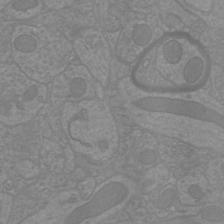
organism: Mouse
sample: Cortical neurons